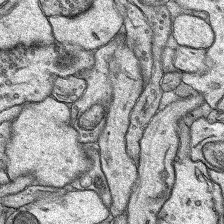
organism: Rat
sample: Hippocampus